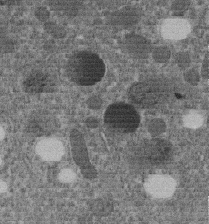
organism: C. elegans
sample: C. elegans embryo early stage